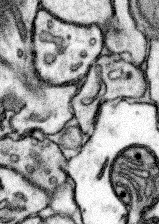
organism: Mouse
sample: Somatosensory cortex neuropil